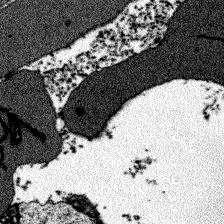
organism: Zebrafish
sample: Larval olfactory bulb